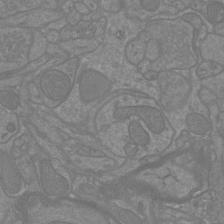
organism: Mouse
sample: Cortical neurons